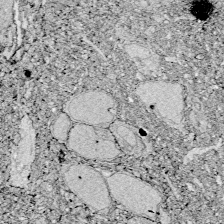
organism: Zebrafish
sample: Whole-Brain